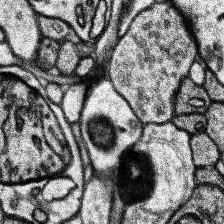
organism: Human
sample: Temporal Lobe